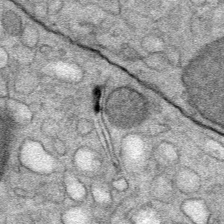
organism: Mouse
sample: Mouse Salivary gland